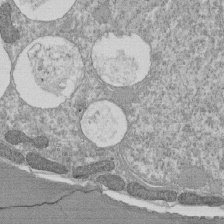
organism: Tetrahymena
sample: Cilia in tetrahymena